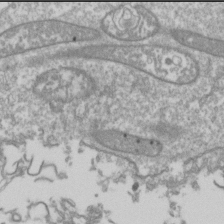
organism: Drosophila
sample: Cell division; meiosis; drosophila spermatocytes